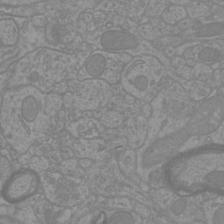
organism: Mouse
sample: Cortical neurons